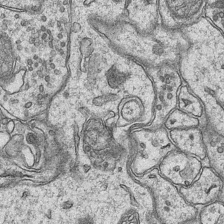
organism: Mouse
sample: CA1 Hippocampus